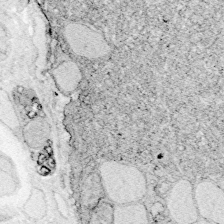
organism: Zebrafish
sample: Whole-Brain